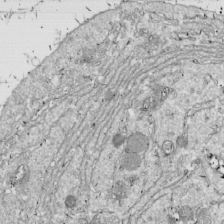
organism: Drosophila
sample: Cell division; meiosis; drosophila spermatocytes